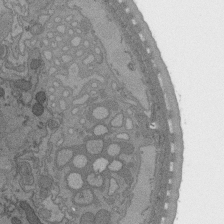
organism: C. elegans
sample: AFD neurons C. elegans